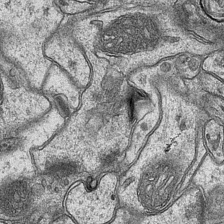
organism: Mouse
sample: CA1 Hippocampus